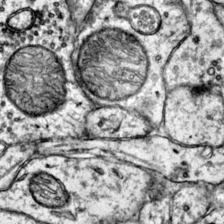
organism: Mouse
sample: Primary visual cortex